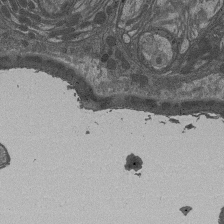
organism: Drosophila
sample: Antenna